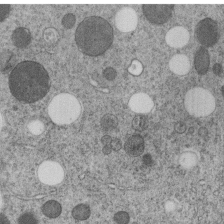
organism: C. elegans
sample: C. elegans embryo early stage